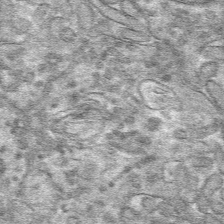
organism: Mouse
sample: Mouse hepatocytes